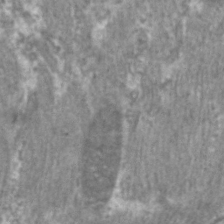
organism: C. elegans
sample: Pharynx